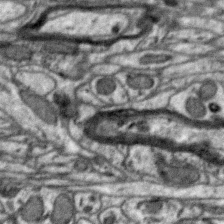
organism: Zebra finch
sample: Brain